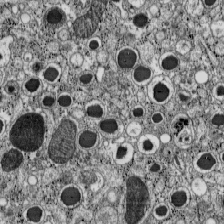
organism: C57BL Mouse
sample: Pancreatic islet